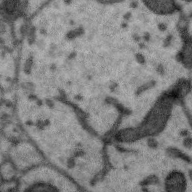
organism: Zebra finch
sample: Brain